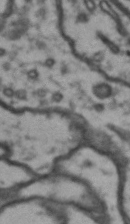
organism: Drosophila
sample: Brain